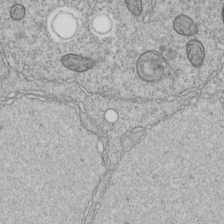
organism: C. elegans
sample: C. elegans embryo early stage